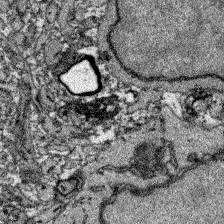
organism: Zebrafish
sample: Larval olfactory bulb